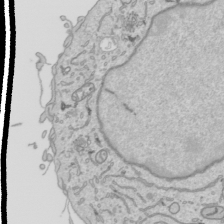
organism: Human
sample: Mitochondria in HCT116 cells